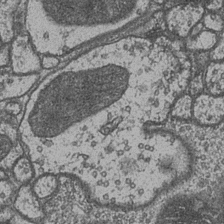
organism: Drosophila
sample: Optic medulla